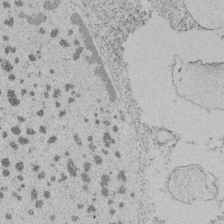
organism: Tetrahymena